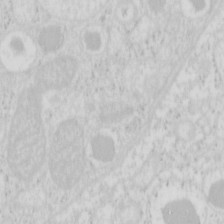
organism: Mouse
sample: Pancreas